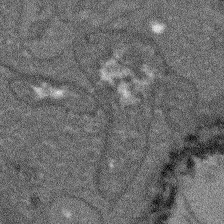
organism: Arabidopsis thaliana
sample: Root tip